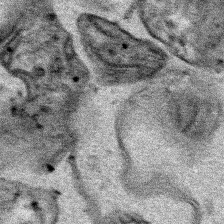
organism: Human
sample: Mitochondria in HCT116 cells